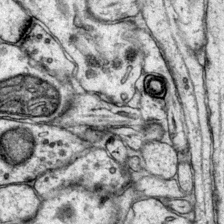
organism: Mouse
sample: Primary visual cortex